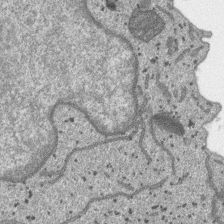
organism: Human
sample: Lung epithelial cells infected with SARS-CoV-2